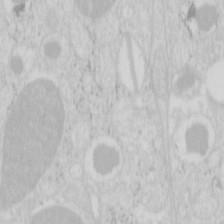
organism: Mouse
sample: Pancreas